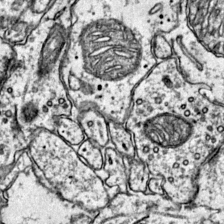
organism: Mouse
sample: Primary visual cortex